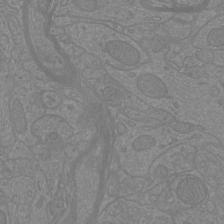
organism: Mouse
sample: Cortical neurons